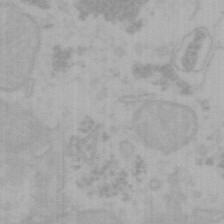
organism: Mouse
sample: Choroid plexus